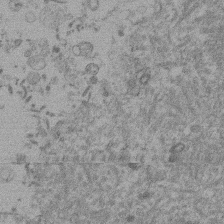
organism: Mouse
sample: Dividing mouse embryo 1 cell stage